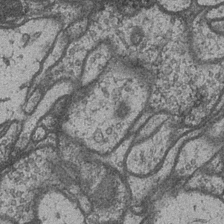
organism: Drosophila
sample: Optic medulla